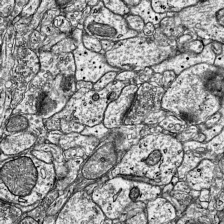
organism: Mouse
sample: Visual Cortex